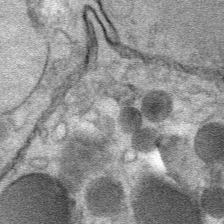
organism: Mouse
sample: Mouse Salivary gland